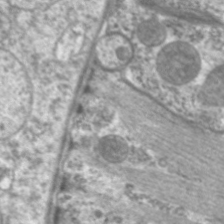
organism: C. elegans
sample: Pharynx